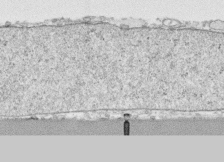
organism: Human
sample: CRL-1474